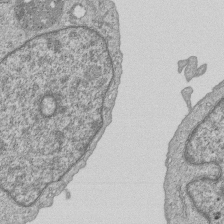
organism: Human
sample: MDA-MB-231 cells